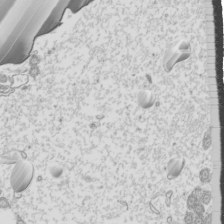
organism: Mouse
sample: Cilia; mouse epididymis